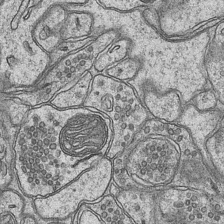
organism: Mouse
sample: CA1 Hippocampus